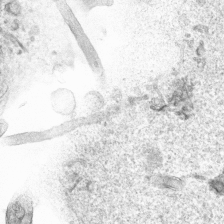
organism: Human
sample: Mitochondria in HCT116 cells